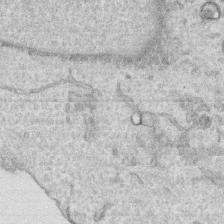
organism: Human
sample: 1205lu cells